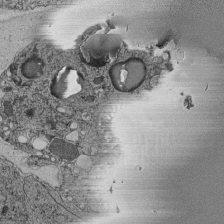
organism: C. elegans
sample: C. elegans pharynx